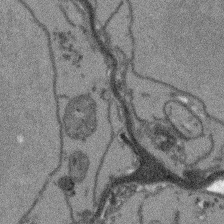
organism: Arabidopsis thaliana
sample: Root tip